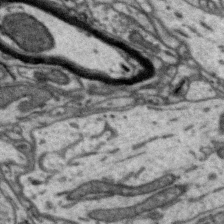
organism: Zebra finch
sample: Brain